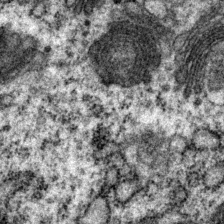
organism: P. pacificus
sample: Pharynx